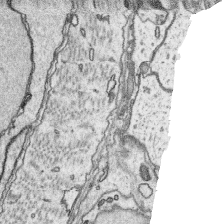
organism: Platynereis dumerilii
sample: Parapodia